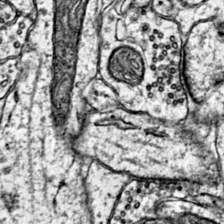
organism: Mouse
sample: Primary visual cortex